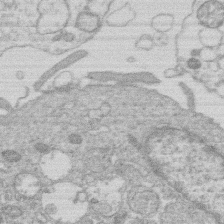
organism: Human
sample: Macrophage cells